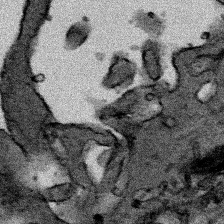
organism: Human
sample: Mitochondria in HCT116 cells